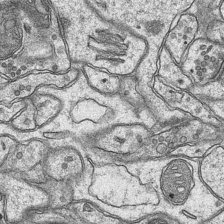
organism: Mouse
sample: CA1 Hippocampus